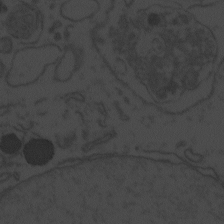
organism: Zebrafish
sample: Macrophage infected with Toxoplasma gondii